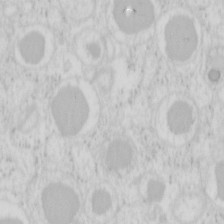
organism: Mouse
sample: Pancreas